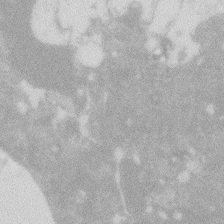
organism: Zebrafish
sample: Macrophage